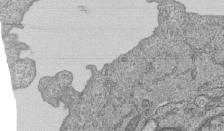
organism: Human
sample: MDA-MB-231 cells